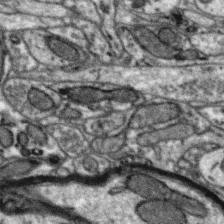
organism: Zebra finch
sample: Brain